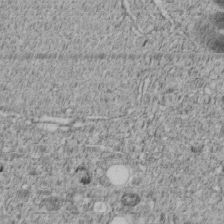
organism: C. elegans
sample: C. elegans embryo early stage